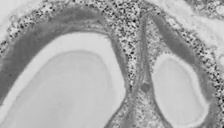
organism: Chlamydomonas reinhardtii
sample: Whole Cell